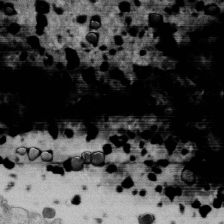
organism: C. elegans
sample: C. elegans embryo early stage